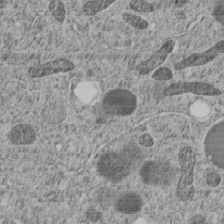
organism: C. elegans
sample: C. elegans embryo early stage